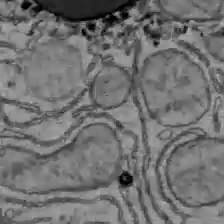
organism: C57BL Mouse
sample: Liver